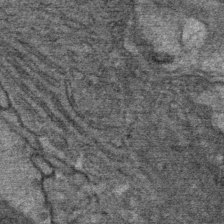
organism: Mouse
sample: Mouse Salivary gland